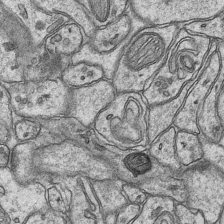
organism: Mouse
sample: CA1 Hippocampus